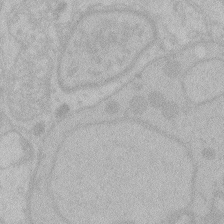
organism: Zebrafish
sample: Macrophage infected with Toxoplasma gondii